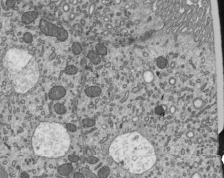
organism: Mouse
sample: Mouse epididymis efferent ductule cilia